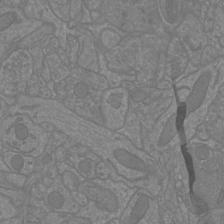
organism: Mouse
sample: Cortical neurons